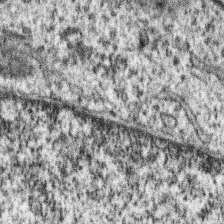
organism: Human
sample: HeLa cells